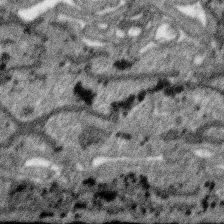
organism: Human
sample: Lung epithelial cells infected with SARS-CoV-2